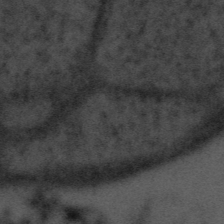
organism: Tuwongella immobilis